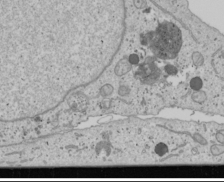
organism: Human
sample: Mitochondria in U2OS cells